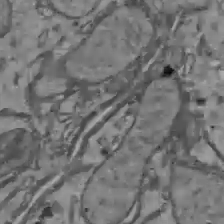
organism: C57BL Mouse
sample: Liver